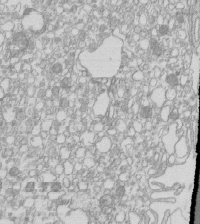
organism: Mouse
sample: Macrophages